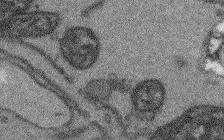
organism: Arabidopsis thaliana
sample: Root tip